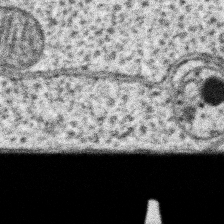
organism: Human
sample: HeLa cells